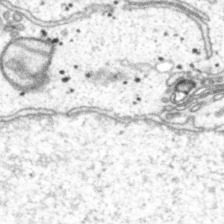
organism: Human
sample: HeLa cells